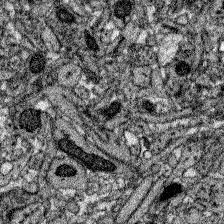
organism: Zebrafish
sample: Larval olfactory bulb